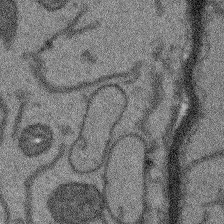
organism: Arabidopsis thaliana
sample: Root tip